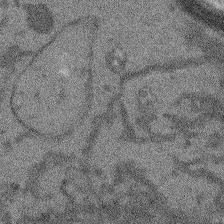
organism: Arabidopsis thaliana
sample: Root tip